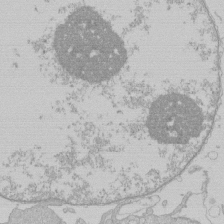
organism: Human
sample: Macrophage cells